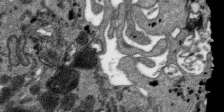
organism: Human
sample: Lung epithelial cells, uninfected (mock) control